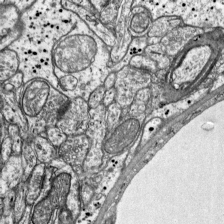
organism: Mouse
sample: Visual Cortex